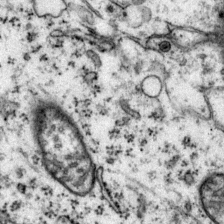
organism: Mouse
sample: Primary visual cortex